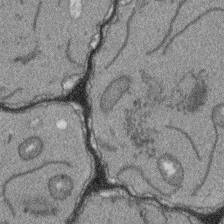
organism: Arabidopsis thaliana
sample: Root tip